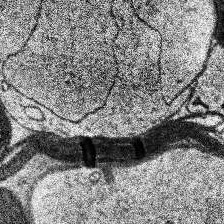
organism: Human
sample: Temporal Lobe